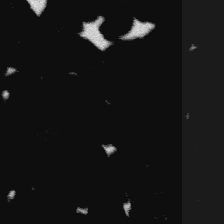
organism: Platynereis dumerilii